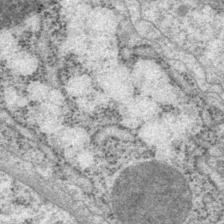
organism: P. pacificus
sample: Pharynx